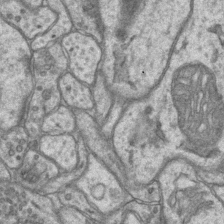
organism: Mouse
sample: CA1 Hippocampus